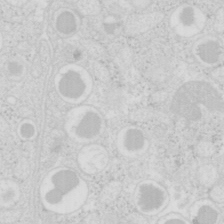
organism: Mouse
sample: Pancreas